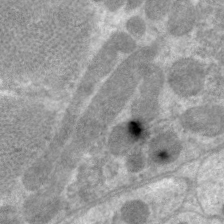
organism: C. elegans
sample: Pharynx